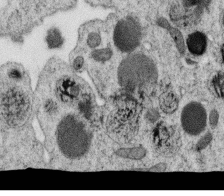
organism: C. elegans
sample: C. elegans oocyte; sperm cells